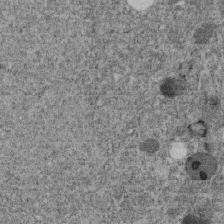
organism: C. elegans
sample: C. elegans embryo early stage